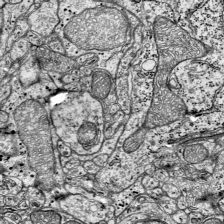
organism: Mouse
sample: Visual Cortex